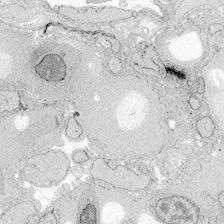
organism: Zebrafish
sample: Whole-Brain